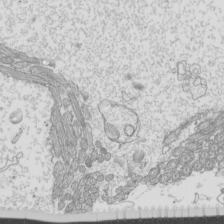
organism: Mouse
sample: Cilia; mouse epididymis